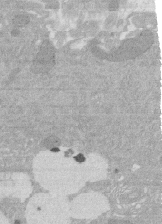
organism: Rat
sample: Salivary granule